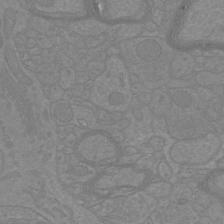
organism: Mouse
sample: Cortical neurons